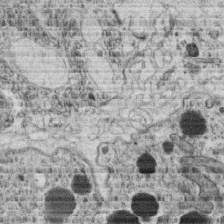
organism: C. elegans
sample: C. elegans oocyte; sperm cells